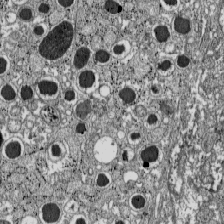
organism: C57BL Mouse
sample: Pancreatic islet